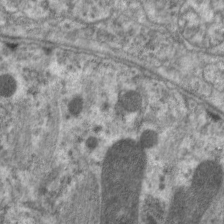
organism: C. elegans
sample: Pharynx